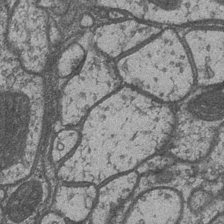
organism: Drosophila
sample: Optic medulla